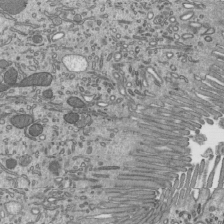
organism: Mouse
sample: Mouse epididymis efferent ductule cilia